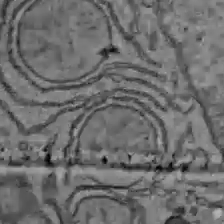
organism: C57BL Mouse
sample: Liver